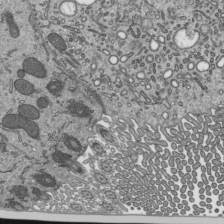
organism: Mouse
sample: Mouse epididymis efferent ductule cilia